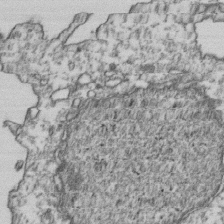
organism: Human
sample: Activated Jurkat CD4+ T cells